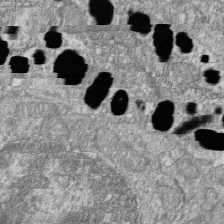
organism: Zebrafish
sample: Cilia; retinal pigment epithelium